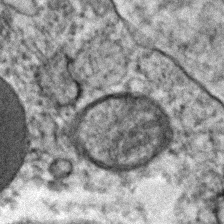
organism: Human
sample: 1205lu cells